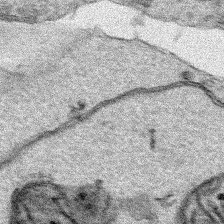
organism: Human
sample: Mitochondria in HCT116 cells